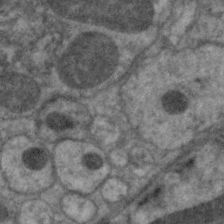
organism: C. elegans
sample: Pharynx